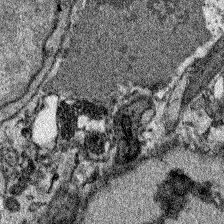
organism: Zebrafish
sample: Larval olfactory bulb